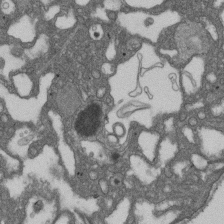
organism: Drosophila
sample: Nephrocyte